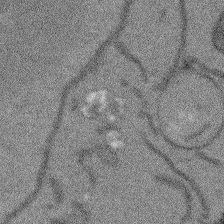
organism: Arabidopsis thaliana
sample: Root tip